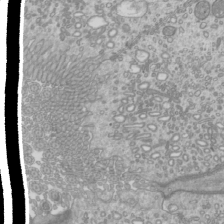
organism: Mouse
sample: Cilia; mouse epididymis